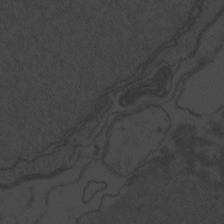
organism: Zebrafish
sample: Macrophage infected with Toxoplasma gondii